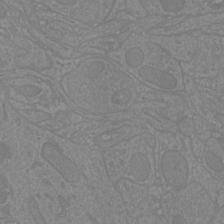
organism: Mouse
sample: Cortical neurons